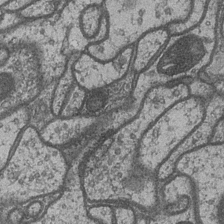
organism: Drosophila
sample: Optic medulla